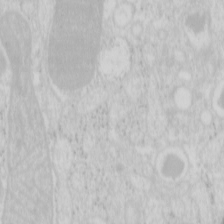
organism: Mouse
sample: Pancreas